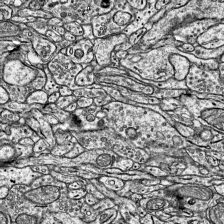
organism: Mouse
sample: Visual Cortex